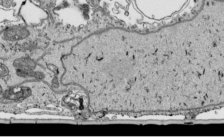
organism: Human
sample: Mitochondria in HCT116 cells